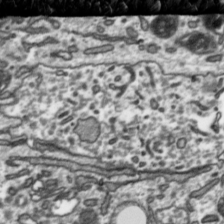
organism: Toxoplasma gondii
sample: Parasites in a vacuole inside a host cell